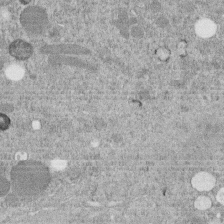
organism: C. elegans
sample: C. elegans embryo early stage